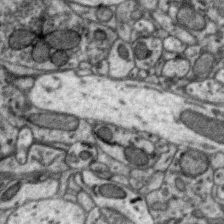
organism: Zebra finch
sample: Brain